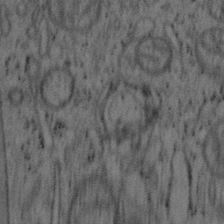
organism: Human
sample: HeLa cells